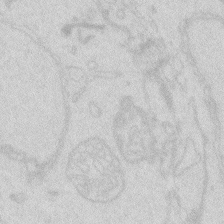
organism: Zebrafish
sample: Macrophage